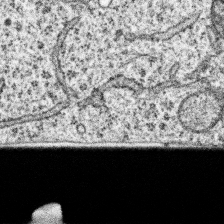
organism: Human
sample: HeLa cells